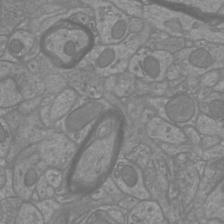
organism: Mouse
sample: Cortical neurons